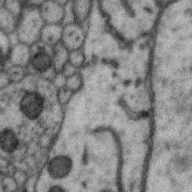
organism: Zebra finch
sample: Brain